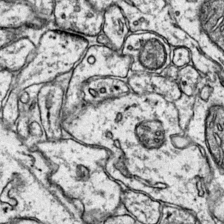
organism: Mouse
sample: Primary visual cortex